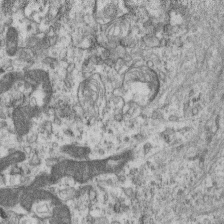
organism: Mouse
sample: Centriole in ependymal cells